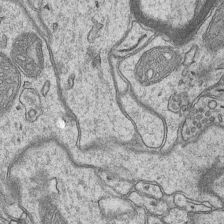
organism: Mouse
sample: CA1 Hippocampus